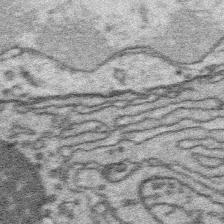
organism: Platynereis dumerilii